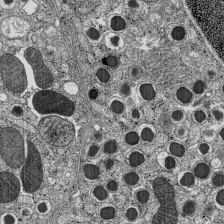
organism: C57BL Mouse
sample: Pancreatic islet